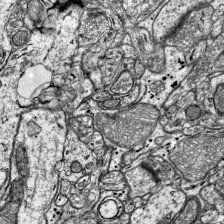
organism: Mouse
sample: Visual Cortex